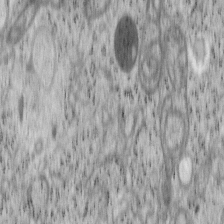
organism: Human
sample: HeLa cells